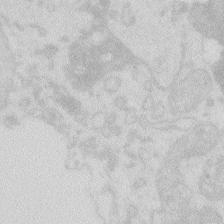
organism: Zebrafish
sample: Macrophage